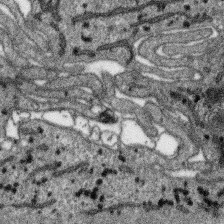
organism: Human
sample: Lung epithelial cells infected with SARS-CoV-2